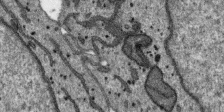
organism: Human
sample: Lung epithelial cells, uninfected (mock) control